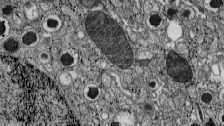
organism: C57BL Mouse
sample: Pancreatic islet